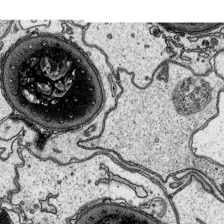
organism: Platynereis dumerilii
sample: Parapodia